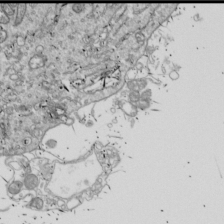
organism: Drosophila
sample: Cell division; meiosis; drosophila spermatocytes